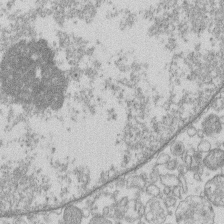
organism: Human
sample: Macrophage cells